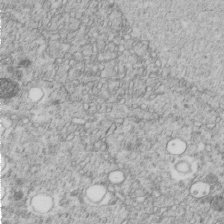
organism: C. elegans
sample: C. elegans embryo early stage